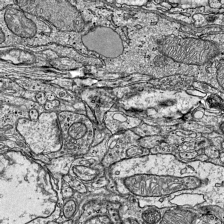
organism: Mouse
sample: Visual Cortex